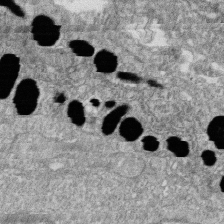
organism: Zebrafish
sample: Cilia; retinal pigment epithelium